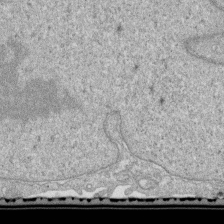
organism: Human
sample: HeLa cell HIV synapse